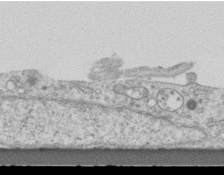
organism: Mouse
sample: Centriole in ependymal cells